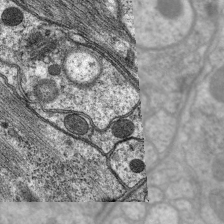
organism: C. elegans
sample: Pharynx